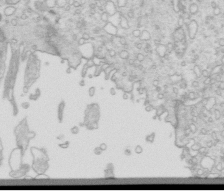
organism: Mouse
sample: Multiciliated cells